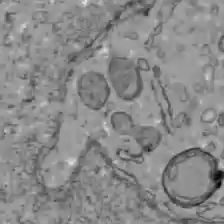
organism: C57BL Mouse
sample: Liver